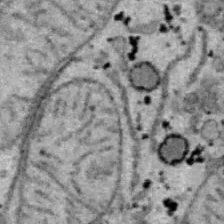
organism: Mouse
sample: Liver from an obese (ob/ob) mouse